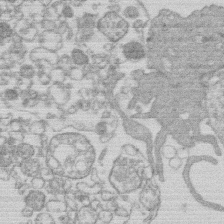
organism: Human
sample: Macrophage cells